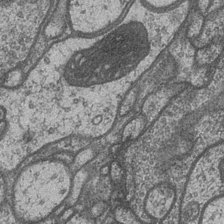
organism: Drosophila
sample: Optic medulla